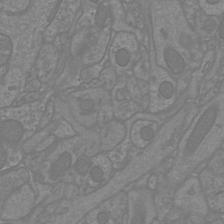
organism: Mouse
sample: Cortical neurons